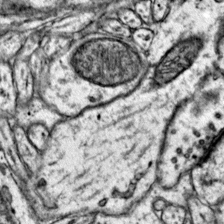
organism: Mouse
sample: Primary visual cortex